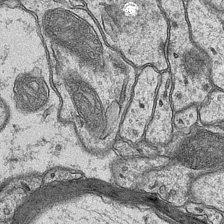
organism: Mouse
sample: CA1 Hippocampus